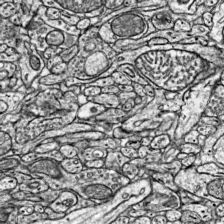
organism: Mouse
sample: Visual Cortex